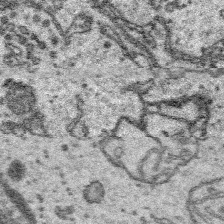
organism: Platynereis dumerilii